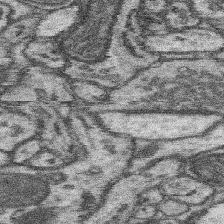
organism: Mouse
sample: Somatosensory cortex neuropil